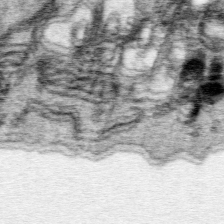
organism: Human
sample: HeLa cells